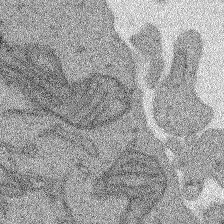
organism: Human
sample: HeLa cells